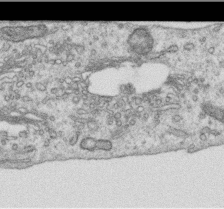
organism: Human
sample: Centriole in RPE cells